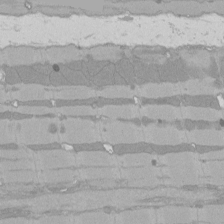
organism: Rat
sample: Left ventricle